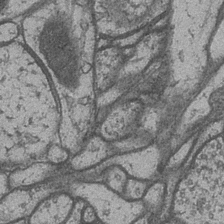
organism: Drosophila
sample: Optic medulla